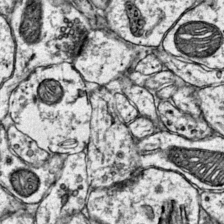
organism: Mouse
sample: Primary visual cortex